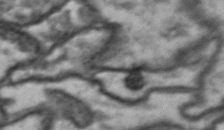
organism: Drosophila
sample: Brain